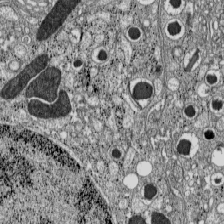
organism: C57BL Mouse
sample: Pancreatic islet